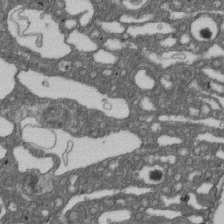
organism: Drosophila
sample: Nephrocyte